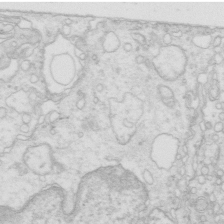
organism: Mouse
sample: Multiciliated cells